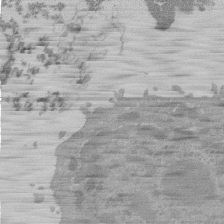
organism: Mouse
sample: Activated Pmel transgenic CD8+ T Cells